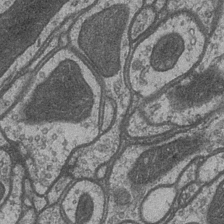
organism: Drosophila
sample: Optic medulla